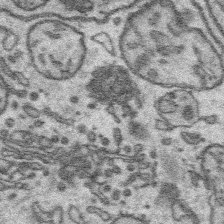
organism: Platynereis dumerilii